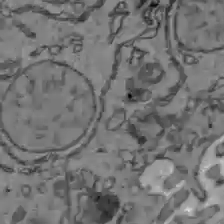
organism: C57BL Mouse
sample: Liver